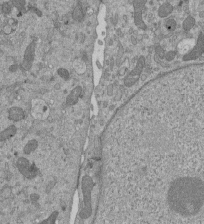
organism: Mouse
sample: ED-1 cell nuclei; centrioles